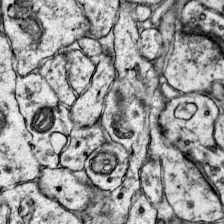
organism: Mouse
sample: Primary visual cortex